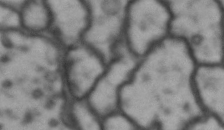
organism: Drosophila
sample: Brain